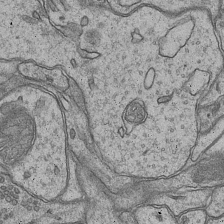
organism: Mouse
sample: CA1 Hippocampus